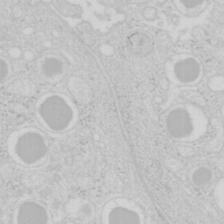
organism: Mouse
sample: Pancreas